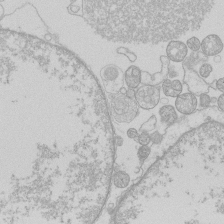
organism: Human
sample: Macrophage cells